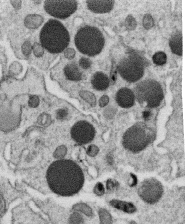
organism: C. elegans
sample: C. elegans oocyte; sperm cells